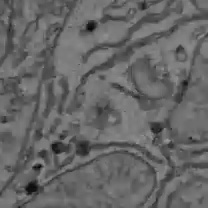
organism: C57BL Mouse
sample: Liver